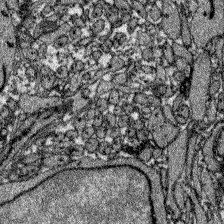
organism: Zebrafish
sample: Larval olfactory bulb